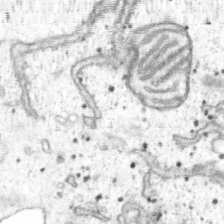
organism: Human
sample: HeLa cells